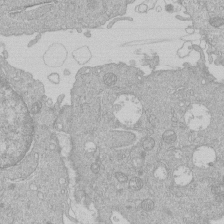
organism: Human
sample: Macrophage cells